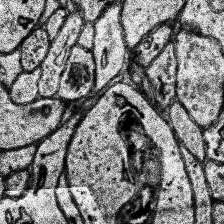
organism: Human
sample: Temporal Lobe